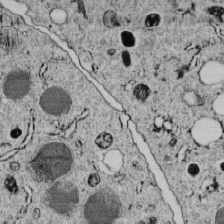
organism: C. elegans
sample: C. elegans embryo early stage